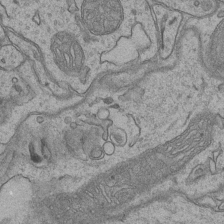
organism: Mouse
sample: CA1 Hippocampus